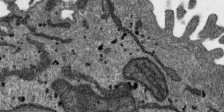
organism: Human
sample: Lung epithelial cells, uninfected (mock) control